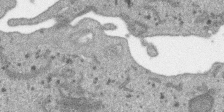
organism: Human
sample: Lung epithelial cells infected with SARS-CoV-2